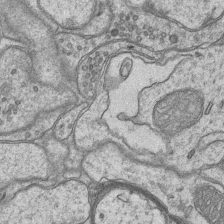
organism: Mouse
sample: CA1 Hippocampus